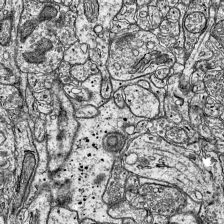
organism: Mouse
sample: Visual Cortex